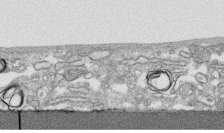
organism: Human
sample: CRL-1474